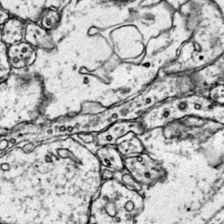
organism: Mouse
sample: Primary visual cortex